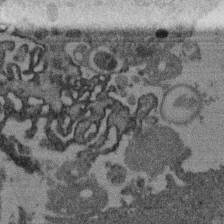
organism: Mouse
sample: Dividing mouse embryo 1 cell stage